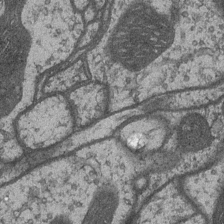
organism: Drosophila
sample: Optic medulla